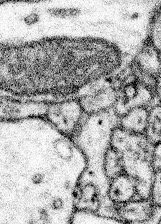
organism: Mouse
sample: Somatosensory cortex neuropil